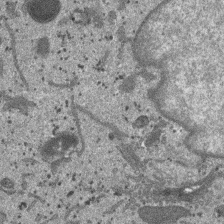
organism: Human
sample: Lung epithelial cells infected with SARS-CoV-2